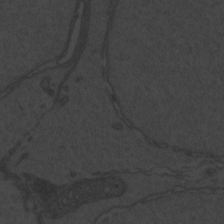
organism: Zebrafish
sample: Macrophage infected with Toxoplasma gondii